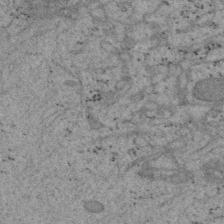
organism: Human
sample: HeLa cells